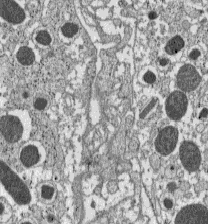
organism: C57BL Mouse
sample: Pancreatic islet